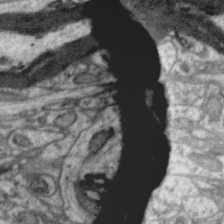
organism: Zebra finch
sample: Brain